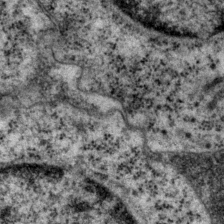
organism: P. pacificus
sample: Pharynx